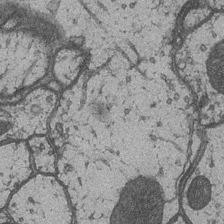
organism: Drosophila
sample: Optic medulla